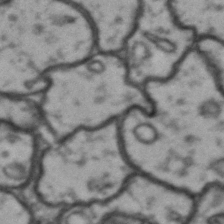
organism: Drosophila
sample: Brain